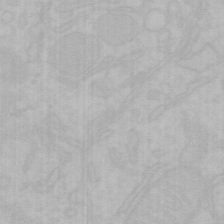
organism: Mouse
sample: Choroid plexus